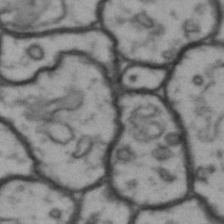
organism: Drosophila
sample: Brain